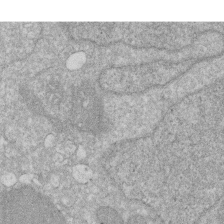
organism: Human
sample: HIV infected U937 cells